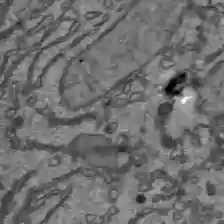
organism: C57BL Mouse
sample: Liver